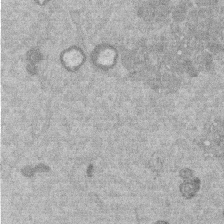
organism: Mouse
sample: Dividing mouse embryo 1 cell stage